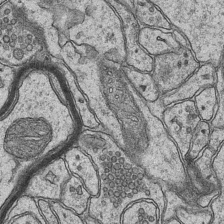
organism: Mouse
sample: CA1 Hippocampus